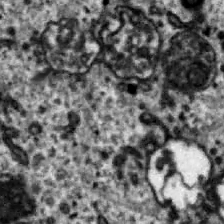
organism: Human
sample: HeLa cells